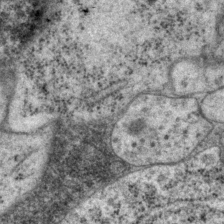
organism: P. pacificus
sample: Pharynx